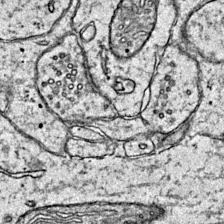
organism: Mouse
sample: Primary visual cortex